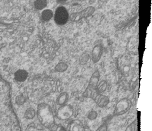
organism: Human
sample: MDA-MB-231 cells